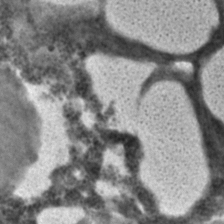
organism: C. elegans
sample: C. elegans embryo